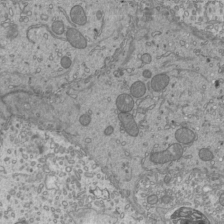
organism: Mouse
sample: Cilia; mouse epididymis